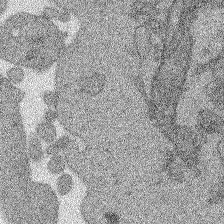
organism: Human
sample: HeLa cells